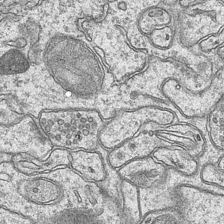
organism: Mouse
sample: CA1 Hippocampus